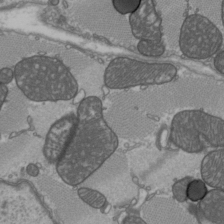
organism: C57BL Mouse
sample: Heart